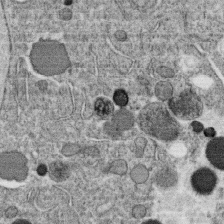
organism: C. elegans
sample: C. elegans oocyte; sperm cells